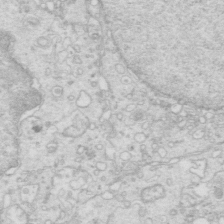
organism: Mouse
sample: Multiciliated cells